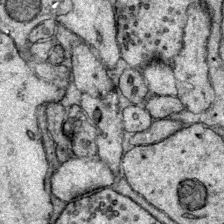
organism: Mouse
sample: Primary visual cortex